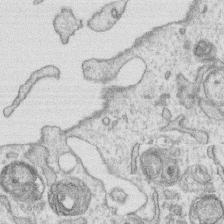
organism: Human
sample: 1205lu cells